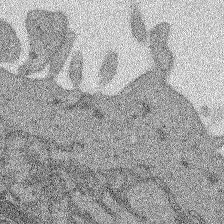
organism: Human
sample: HeLa cells